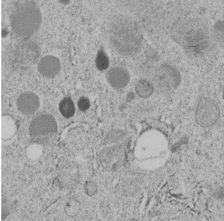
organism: C. elegans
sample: C. elegans embryo early stage